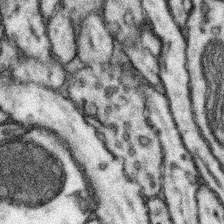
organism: Mouse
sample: Somatosensory cortex neuropil